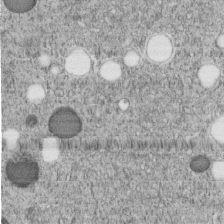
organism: C. elegans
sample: C. elegans embryo early stage